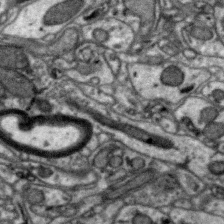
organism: Zebra finch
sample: Brain